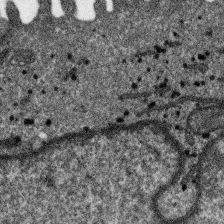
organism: Human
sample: Lung epithelial cells infected with SARS-CoV-2